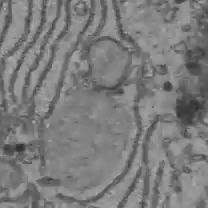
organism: C57BL Mouse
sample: Liver